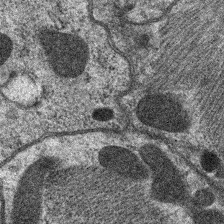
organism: C. elegans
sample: Pharynx